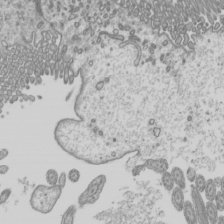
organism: Mouse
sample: Cilia; mouse epididymis